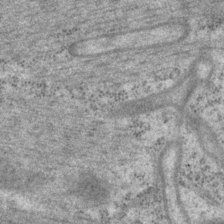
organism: P. pacificus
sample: Pharynx